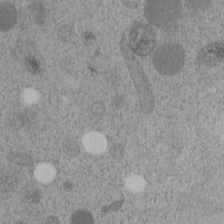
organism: C. elegans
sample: C. elegans embryo early stage